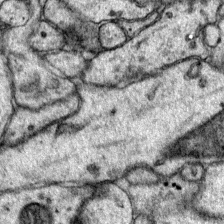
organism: Mouse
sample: Primary visual cortex